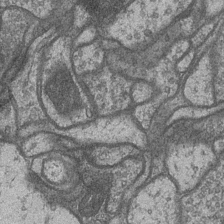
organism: Drosophila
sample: Optic medulla